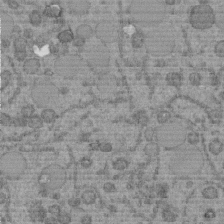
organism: C. elegans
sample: C. elegans embryo early stage